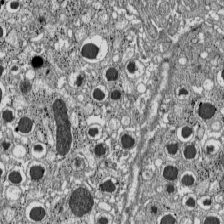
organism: C57BL Mouse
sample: Pancreatic islet